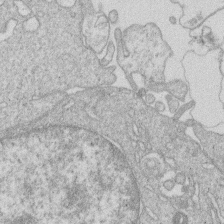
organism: Human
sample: Macrophage cells